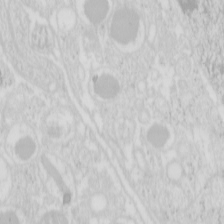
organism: Mouse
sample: Pancreas